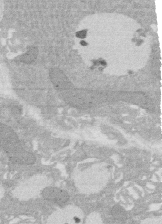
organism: Rat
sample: Salivary granule